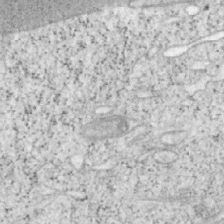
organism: Mouse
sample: OT-I killer T cells with ID8 ovarian cancer cells